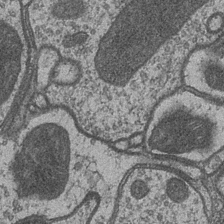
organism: Drosophila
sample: Optic medulla